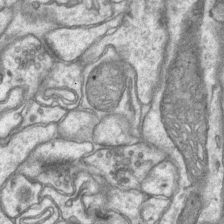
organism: Mouse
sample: CA1 Hippocampus